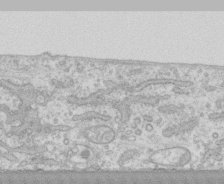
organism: Human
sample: CRL-1474